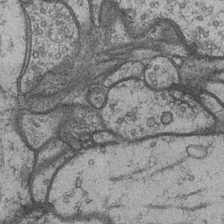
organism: Drosophila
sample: Optic medulla